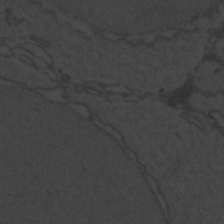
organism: Zebrafish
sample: Macrophage infected with Toxoplasma gondii